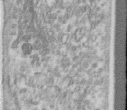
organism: Human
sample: Centriole in RPE cells